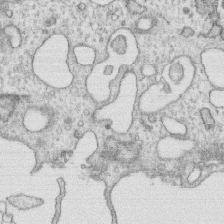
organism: Human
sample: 1205lu cells